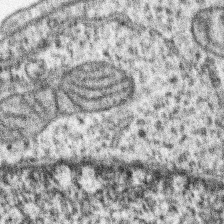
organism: Human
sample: HeLa cells